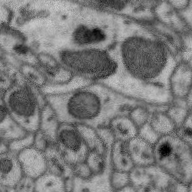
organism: Zebra finch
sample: Brain